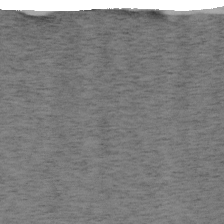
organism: Mouse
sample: OT-I killer T cells with ID8 ovarian cancer cells